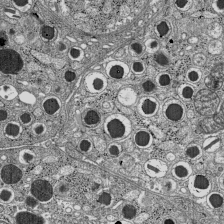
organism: C57BL Mouse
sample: Pancreatic islet